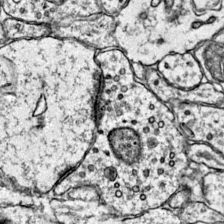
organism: Mouse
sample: Primary visual cortex